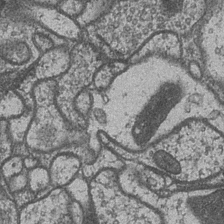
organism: Drosophila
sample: Optic medulla